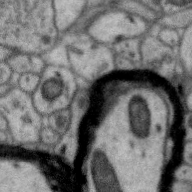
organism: Zebra finch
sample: Brain